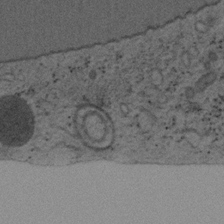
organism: Human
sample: HeLa cells